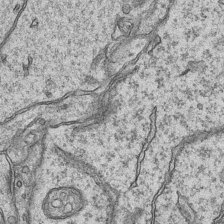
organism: Mouse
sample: CA1 Hippocampus